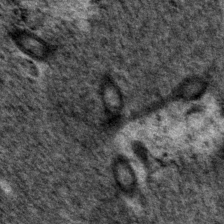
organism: P. pacificus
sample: Pharynx